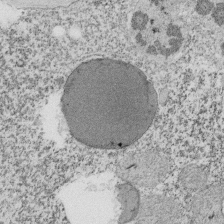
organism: Tetrahymena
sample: Cilia in tetrahymena